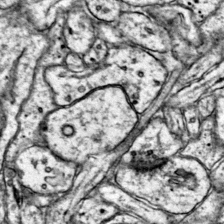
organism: Mouse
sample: Primary visual cortex